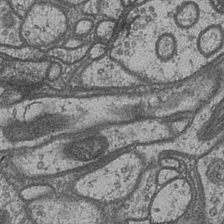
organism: Drosophila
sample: Optic medulla